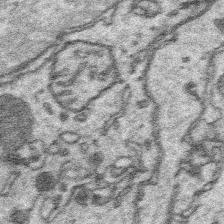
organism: Platynereis dumerilii